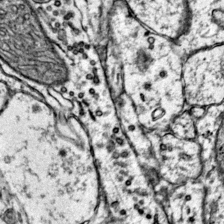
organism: Mouse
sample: Primary visual cortex